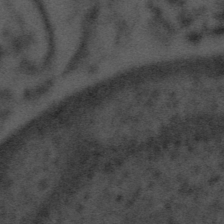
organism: Tuwongella immobilis